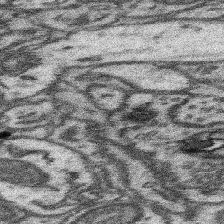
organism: Mouse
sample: Somatosensory cortex neuropil